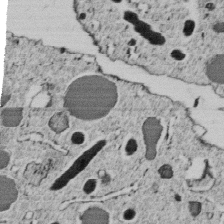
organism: C. elegans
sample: C. elegans embryo early stage